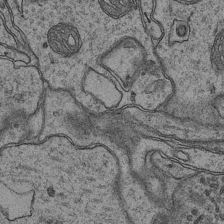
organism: Mouse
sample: CA1 Hippocampus